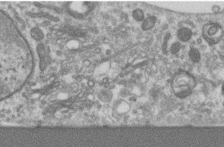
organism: Human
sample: Centriole in RPE cells